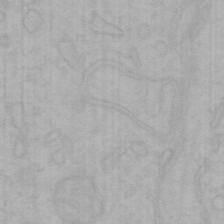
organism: Mouse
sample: Choroid plexus